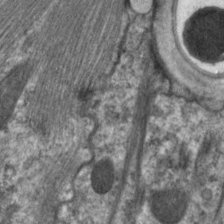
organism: C. elegans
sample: Pharynx